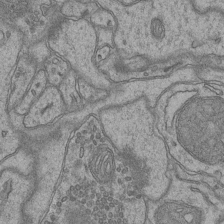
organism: Mouse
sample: CA1 Hippocampus